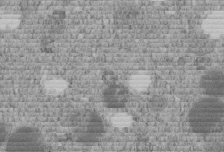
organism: C. elegans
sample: C. elegans embryo early stage